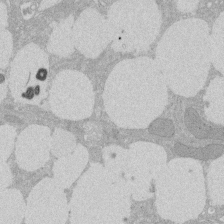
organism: Rat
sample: Salivary granule